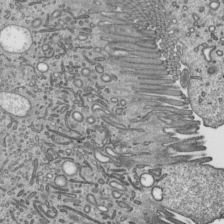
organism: Mouse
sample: Mouse epididymis efferent ductule cilia